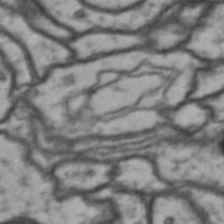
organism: Drosophila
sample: Brain